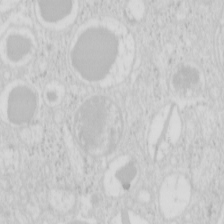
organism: Mouse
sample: Pancreas